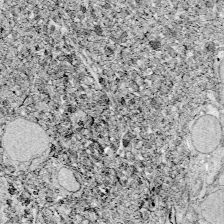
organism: Zebrafish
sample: Whole-Brain